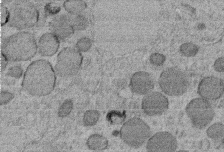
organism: C. elegans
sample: C. elegans embryo early stage